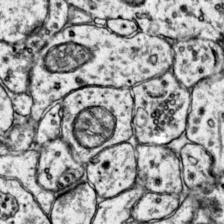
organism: Mouse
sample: Primary visual cortex